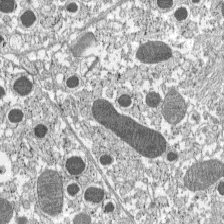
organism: C57BL Mouse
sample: Pancreatic islet